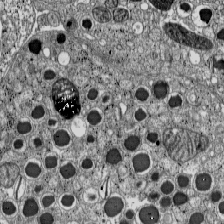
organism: C57BL Mouse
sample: Pancreatic islet